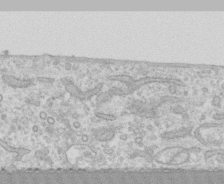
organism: Human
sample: CRL-1474